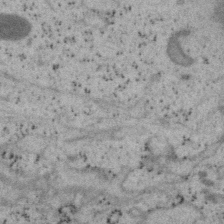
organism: Human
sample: HeLa cells